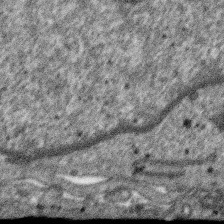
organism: Human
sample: Lung epithelial cells infected with SARS-CoV-2